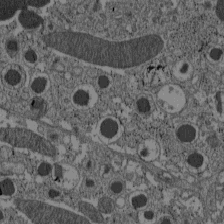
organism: C57BL Mouse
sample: Pancreatic islet